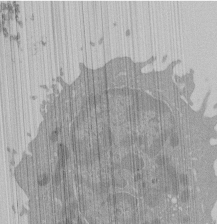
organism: Mouse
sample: Activated Pmel transgenic CD8+ T Cells